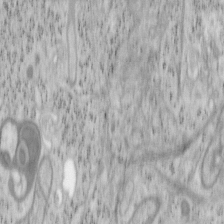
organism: Human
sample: HeLa cells